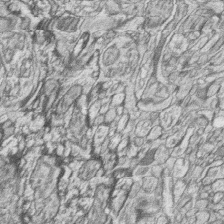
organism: Zebrafish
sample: synaptic ribbons in rod cells and cone cells